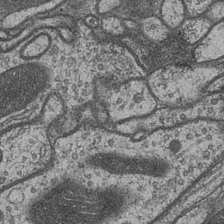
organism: Drosophila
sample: Optic medulla